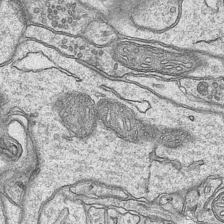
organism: Mouse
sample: CA1 Hippocampus